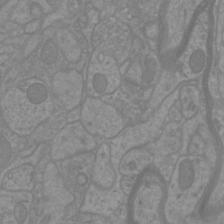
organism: Mouse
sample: Cortical neurons